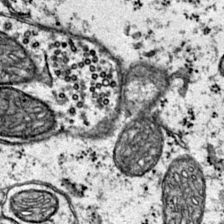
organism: Mouse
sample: Primary visual cortex